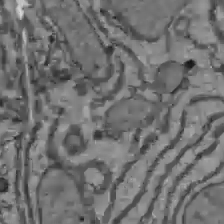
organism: C57BL Mouse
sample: Liver